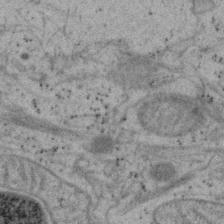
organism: Human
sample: HeLa cells